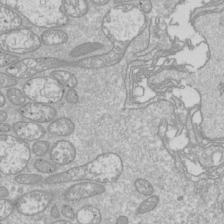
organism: Drosophila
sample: Cell division; meiosis; drosophila spermatocytes